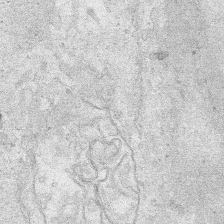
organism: Human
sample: Mitochondria in HCT116 cells